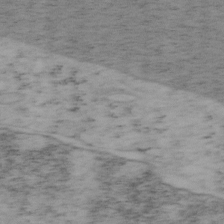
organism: Mouse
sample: OT-I killer T cells with ID8 ovarian cancer cells